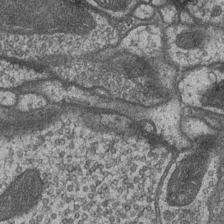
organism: Drosophila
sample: Optic medulla